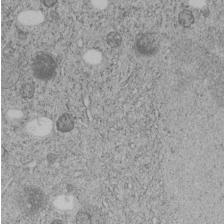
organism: C. elegans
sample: C. elegans embryo early stage